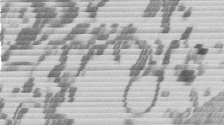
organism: Mouse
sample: Dividing mouse embryo 1 cell stage